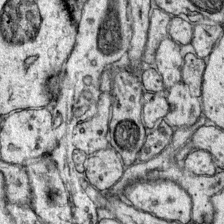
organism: Mouse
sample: Primary visual cortex